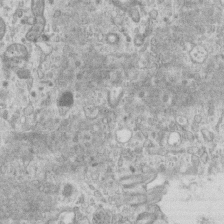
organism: Mouse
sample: Centriole in ependymal cells